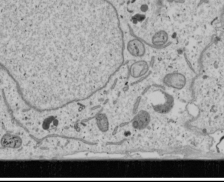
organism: Human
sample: Mitochondria in U2OS cells